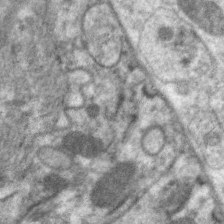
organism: C. elegans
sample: Pharynx